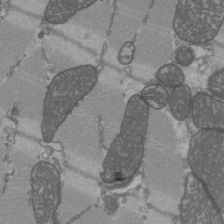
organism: C57BL Mouse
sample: Heart